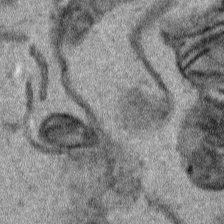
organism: Human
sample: Mitochondria in HCT116 cells